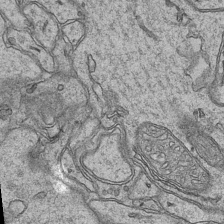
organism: Mouse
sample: CA1 Hippocampus